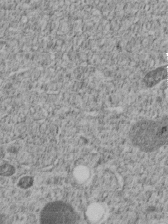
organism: C. elegans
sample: C. elegans embryo early stage